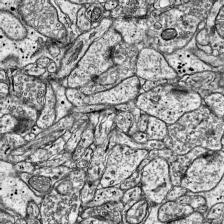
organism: Mouse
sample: Visual Cortex